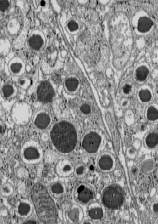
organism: C57BL Mouse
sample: Pancreatic islet